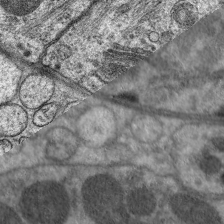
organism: C. elegans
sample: Pharynx